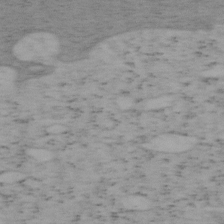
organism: Mouse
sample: OT-I killer T cells with ID8 ovarian cancer cells